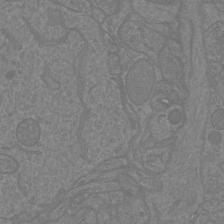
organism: Mouse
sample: Cortical neurons